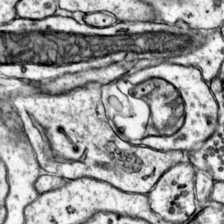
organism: Mouse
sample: Primary visual cortex